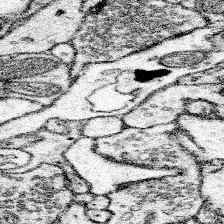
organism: Mouse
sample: Somatosensory cortex neuropil